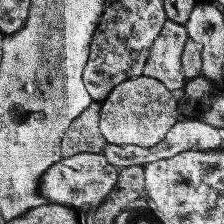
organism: Human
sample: Temporal Lobe